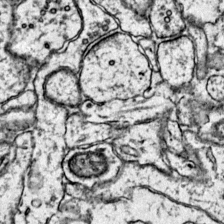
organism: Mouse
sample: Primary visual cortex